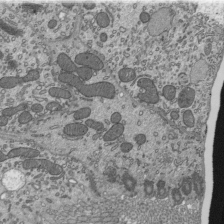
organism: Mouse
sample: Mouse epididymis efferent ductule cilia